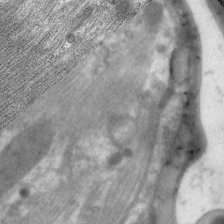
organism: C. elegans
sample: Pharynx